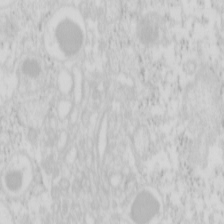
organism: Mouse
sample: Pancreas